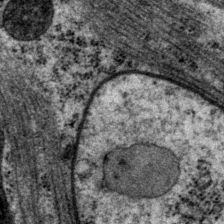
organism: P. pacificus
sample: Pharynx